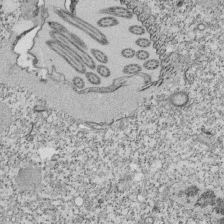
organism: Tetrahymena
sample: Cilia in tetrahymena